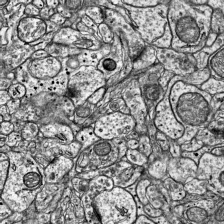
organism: Mouse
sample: Visual Cortex